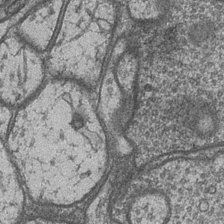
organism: Drosophila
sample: Optic medulla